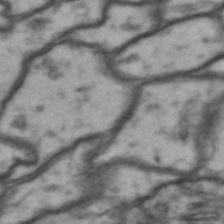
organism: Drosophila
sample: Brain